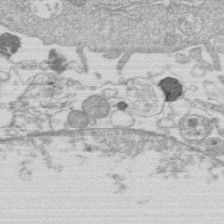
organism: Human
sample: Macrophage cells